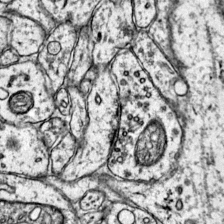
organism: Mouse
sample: Primary visual cortex